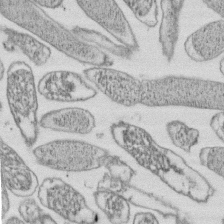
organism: E. coli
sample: Bacterial nucleoid